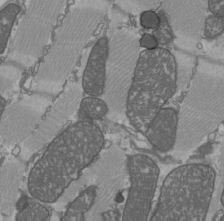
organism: C57BL Mouse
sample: Heart